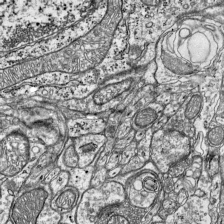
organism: Mouse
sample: Visual Cortex